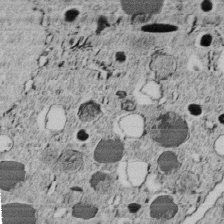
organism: C. elegans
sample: C. elegans embryo early stage